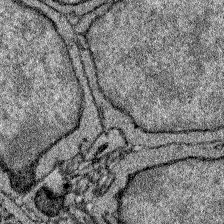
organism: Zebrafish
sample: Larval olfactory bulb